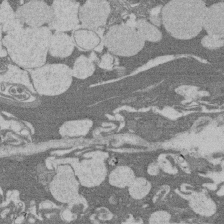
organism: Rat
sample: Salivary granule